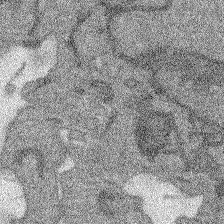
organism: Human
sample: HeLa cells